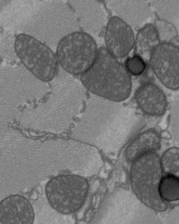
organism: C57BL Mouse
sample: Heart